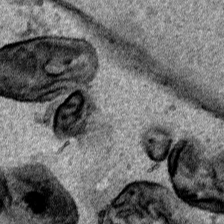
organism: Human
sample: Mitochondria in HCT116 cells